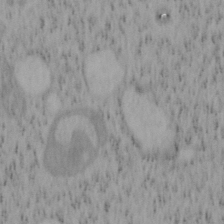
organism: Mouse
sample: OT-I killer T cells with ID8 ovarian cancer cells